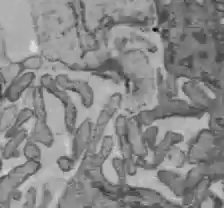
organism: C57BL Mouse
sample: Liver